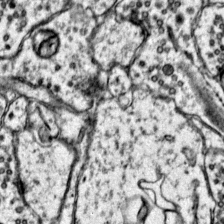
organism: Mouse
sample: Primary visual cortex